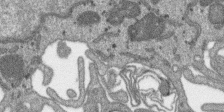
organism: Human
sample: Lung epithelial cells infected with SARS-CoV-2